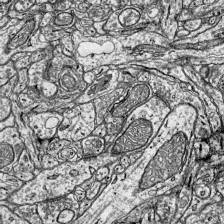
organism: Mouse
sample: Visual Cortex